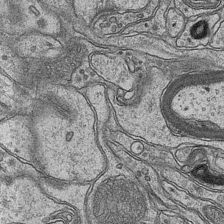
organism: Mouse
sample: CA1 Hippocampus